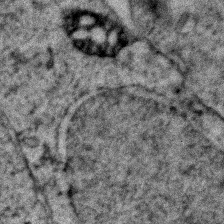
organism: Zebrafish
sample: Zebrafish embryo